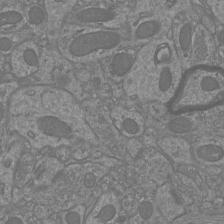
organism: Mouse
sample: Cortical neurons